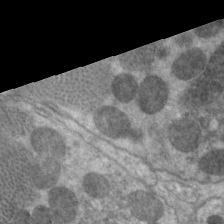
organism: C. elegans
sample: Pharynx